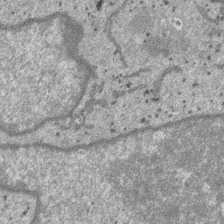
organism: Human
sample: Lung epithelial cells infected with SARS-CoV-2